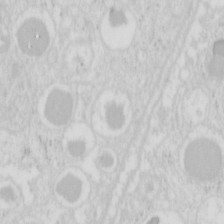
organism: Mouse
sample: Pancreas